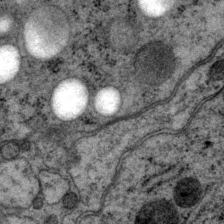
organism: P. pacificus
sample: Pharynx